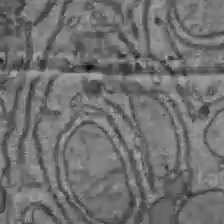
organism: C57BL Mouse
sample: Liver